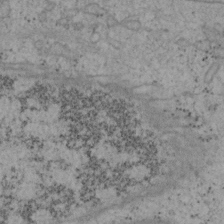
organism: Human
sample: HeLa cells